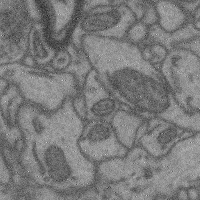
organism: Mouse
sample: Cerebral cortex